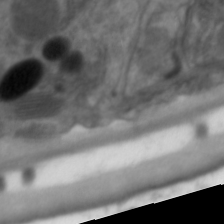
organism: C. elegans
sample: Pharynx